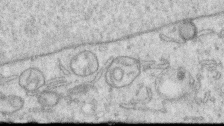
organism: Human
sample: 1205lu cells